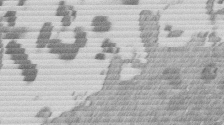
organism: Mouse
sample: Dividing mouse embryo 1 cell stage